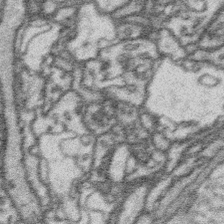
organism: Platynereis dumerilii